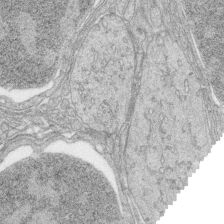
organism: Zebrafish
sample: synaptic ribbons in rod cells and cone cells